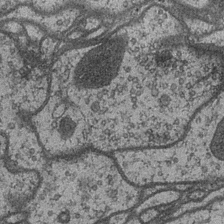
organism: Drosophila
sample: Optic medulla